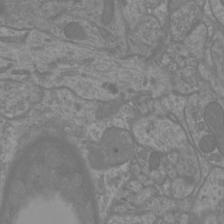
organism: Mouse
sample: Cortical neurons